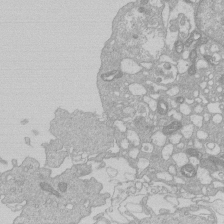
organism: Human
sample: Macrophage cells